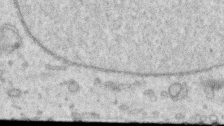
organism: Human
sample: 1205lu cells